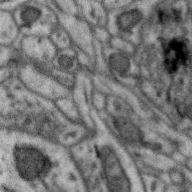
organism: Zebra finch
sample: Brain